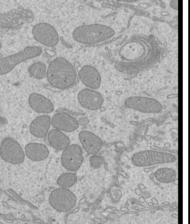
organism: Mouse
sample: Cilia; mouse epididymis